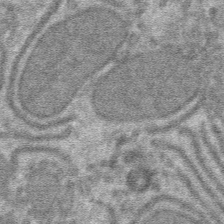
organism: Mouse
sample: Mouse hepatocytes